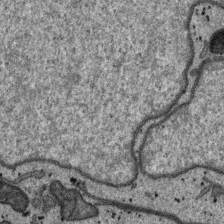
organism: Human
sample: Lung epithelial cells, uninfected (mock) control